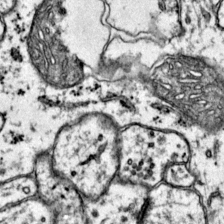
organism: Mouse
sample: Primary visual cortex